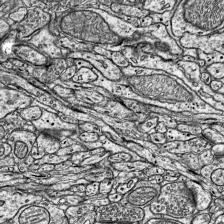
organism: Mouse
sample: Visual Cortex